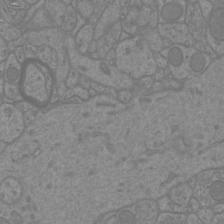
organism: Mouse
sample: Cortical neurons